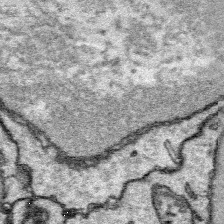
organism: Platynereis dumerilii